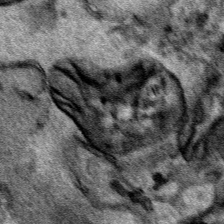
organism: Human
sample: Mitochondria in HCT116 cells